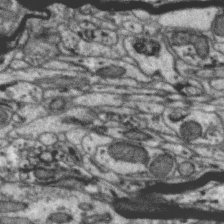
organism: Zebra finch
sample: Brain